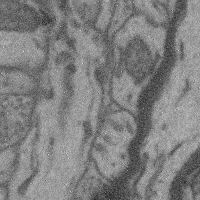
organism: Mouse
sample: Cerebral cortex